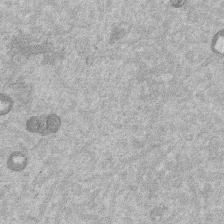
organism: Mouse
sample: Dividing mouse embryo 1 cell stage